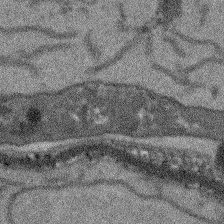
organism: Arabidopsis thaliana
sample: Root tip